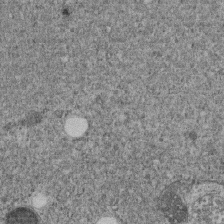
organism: C. elegans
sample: C. elegans embryo early stage